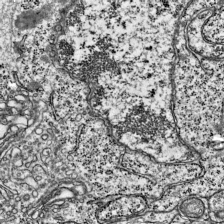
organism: Mouse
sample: Visual Cortex